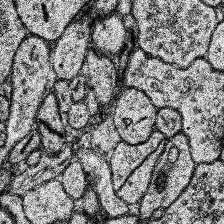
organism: Human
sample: Temporal Lobe